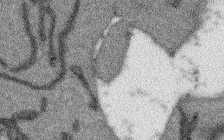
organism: Arabidopsis thaliana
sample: Root tip